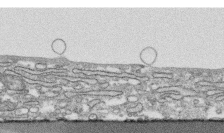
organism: Human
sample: CRL-1474